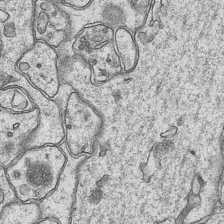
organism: Mouse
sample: CA1 Hippocampus